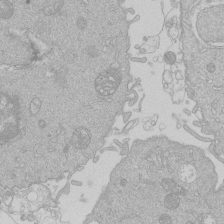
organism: Human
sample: Macrophage cells